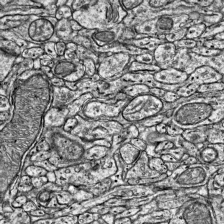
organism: Mouse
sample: Visual Cortex